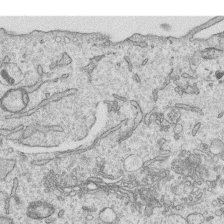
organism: Human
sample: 1205lu cells